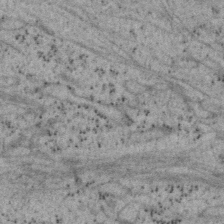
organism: Human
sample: HeLa cells